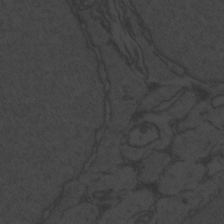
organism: Zebrafish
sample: Macrophage infected with Toxoplasma gondii